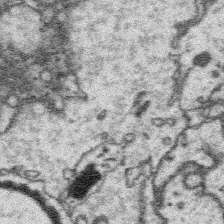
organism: Platynereis dumerilii